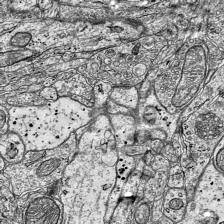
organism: Mouse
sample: Visual Cortex